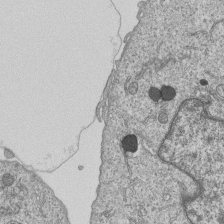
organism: Human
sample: MDA-MB-231 cells